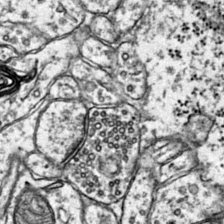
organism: Mouse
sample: Primary visual cortex